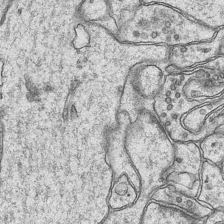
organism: Mouse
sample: CA1 Hippocampus